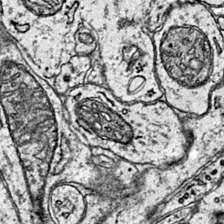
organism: Mouse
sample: Primary visual cortex